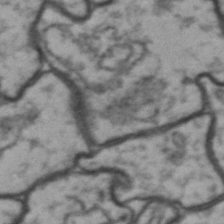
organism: Drosophila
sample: Brain